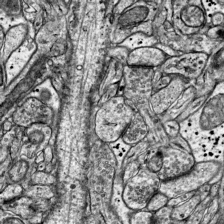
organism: Mouse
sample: Visual Cortex